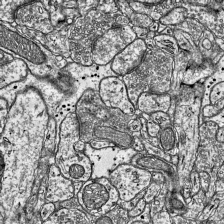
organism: Mouse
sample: Visual Cortex